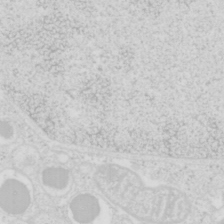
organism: Mouse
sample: Pancreas